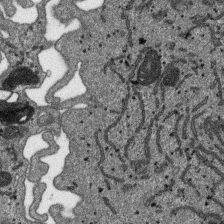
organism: Human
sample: Lung epithelial cells infected with SARS-CoV-2